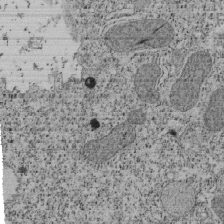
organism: Tetrahymena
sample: Cilia in tetrahymena